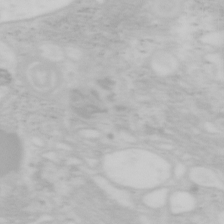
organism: Mouse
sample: OT-I killer T cells with ID8 ovarian cancer cells